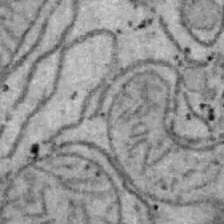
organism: Mouse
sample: Liver from an obese (ob/ob) mouse